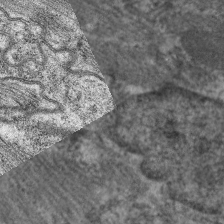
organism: C. elegans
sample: Pharynx